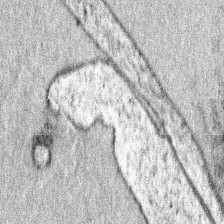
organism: Human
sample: HeLa cells